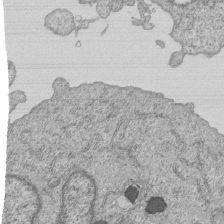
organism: Human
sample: MDA-MB-231 cells